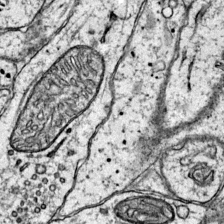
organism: Mouse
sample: Primary visual cortex